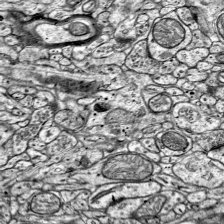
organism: Mouse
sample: Visual Cortex